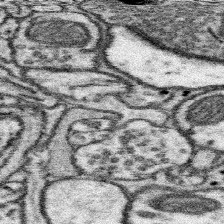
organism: Mouse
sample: Somatosensory cortex neuropil